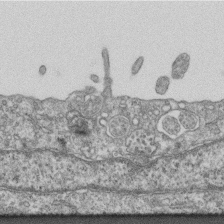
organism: Mouse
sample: Centriole in ependymal cells